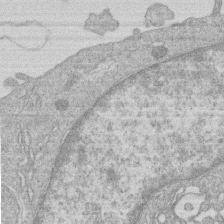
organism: Human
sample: Macrophage cells